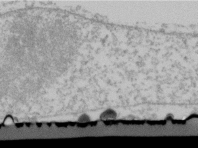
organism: Human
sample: U2-OS cells